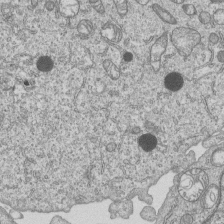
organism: Human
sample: MDA-MB-231 cells